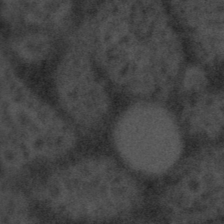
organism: Tuwongella immobilis